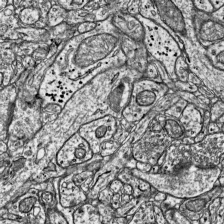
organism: Mouse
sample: Visual Cortex